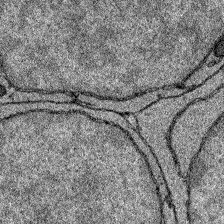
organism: Zebrafish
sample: Larval olfactory bulb